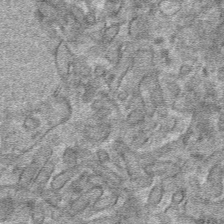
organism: Mouse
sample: Mouse hepatocytes